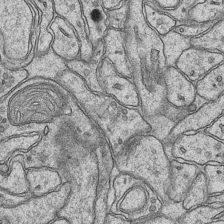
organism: Mouse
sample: CA1 Hippocampus